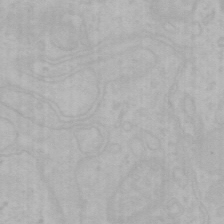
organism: Mouse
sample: Choroid plexus